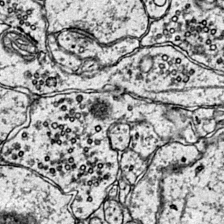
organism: Mouse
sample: Primary visual cortex